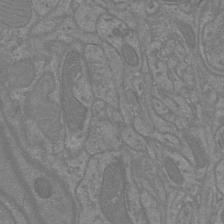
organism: Mouse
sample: Cortical neurons